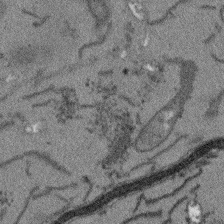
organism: Arabidopsis thaliana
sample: Root tip